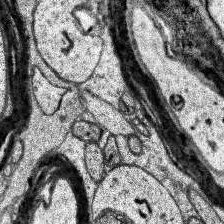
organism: Human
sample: Temporal Lobe